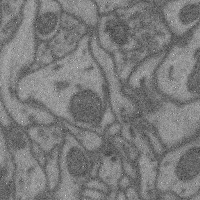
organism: Mouse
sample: Cerebral cortex